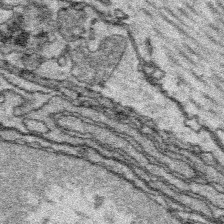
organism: Platynereis dumerilii